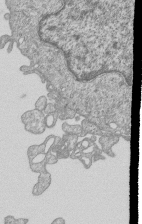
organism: Human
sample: MDA-MB-231 cells